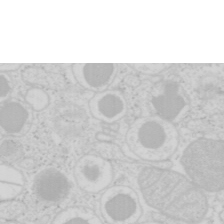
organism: Mouse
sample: Pancreas